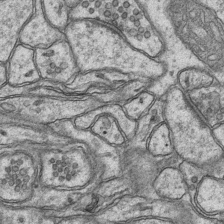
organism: Mouse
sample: CA1 Hippocampus